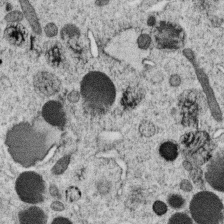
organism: C. elegans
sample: C. elegans oocyte; sperm cells